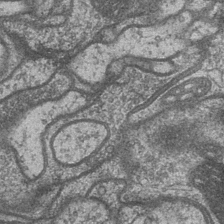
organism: Drosophila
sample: Optic medulla